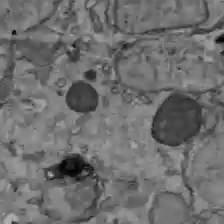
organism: C57BL Mouse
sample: Liver